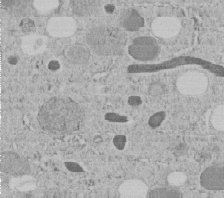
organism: C. elegans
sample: C. elegans embryo early stage